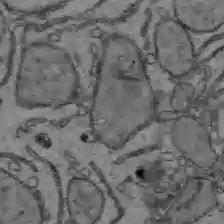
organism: C57BL Mouse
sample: Liver